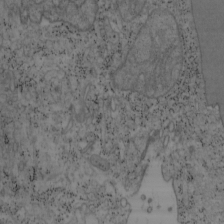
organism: Mouse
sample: OT-I killer T cells with ID8 ovarian cancer cells